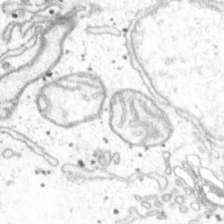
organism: Human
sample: HeLa cells